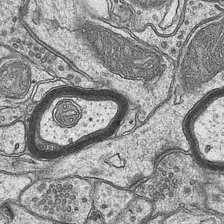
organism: Mouse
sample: CA1 Hippocampus